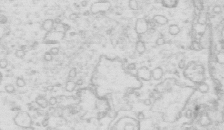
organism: Mouse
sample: Multiciliated cells